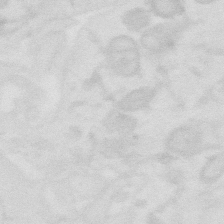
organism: Human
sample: HeLa cells